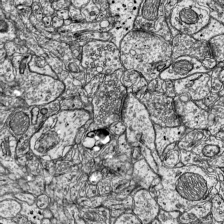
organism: Mouse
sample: Visual Cortex